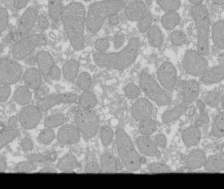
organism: Xenopus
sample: Cilia; centrioles in frog embryo cells